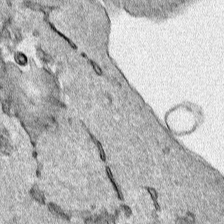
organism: Human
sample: Mitochondria in HCT116 cells